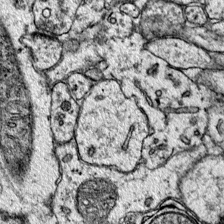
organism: Mouse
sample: Primary visual cortex